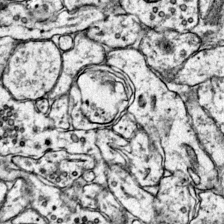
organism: Mouse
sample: Primary visual cortex